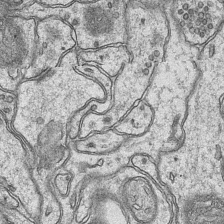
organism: Mouse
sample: CA1 Hippocampus